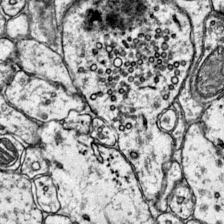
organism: Mouse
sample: Primary visual cortex